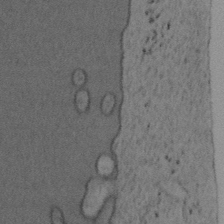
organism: Human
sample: HeLa cells